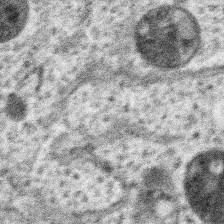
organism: Human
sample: HeLa cells